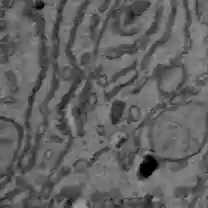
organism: C57BL Mouse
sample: Liver